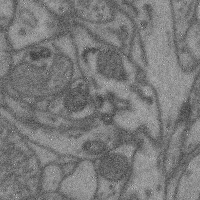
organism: Mouse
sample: Cerebral cortex